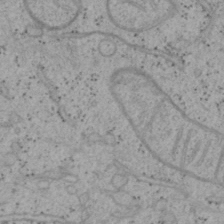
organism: Human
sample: HeLa cells